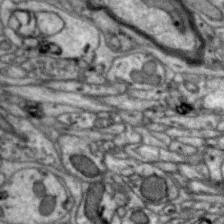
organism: Zebra finch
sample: Brain